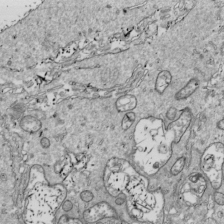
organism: Drosophila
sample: Cell division; meiosis; drosophila spermatocytes